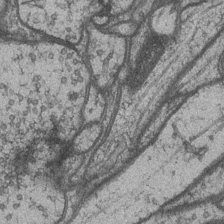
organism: Drosophila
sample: Optic medulla